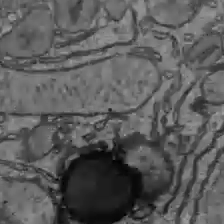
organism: C57BL Mouse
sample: Liver